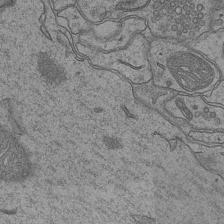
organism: Mouse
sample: CA1 Hippocampus